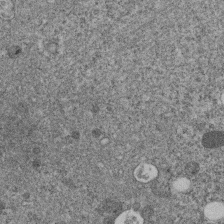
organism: C. elegans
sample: C. elegans embryo early stage